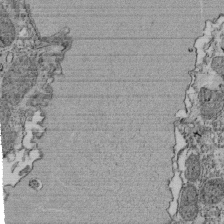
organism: Tetrahymena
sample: Cilia in tetrahymena